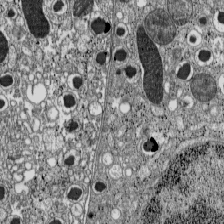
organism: C57BL Mouse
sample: Pancreatic islet